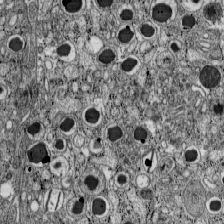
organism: C57BL Mouse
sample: Pancreatic islet